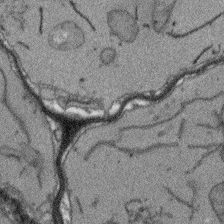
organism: Arabidopsis thaliana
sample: Root tip